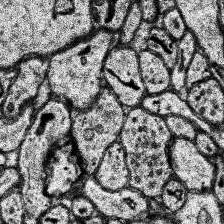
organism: Human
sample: Temporal Lobe